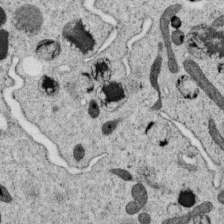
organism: C. elegans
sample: C. elegans oocyte; sperm cells